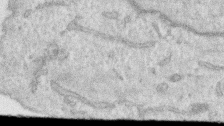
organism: Human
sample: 1205lu cells